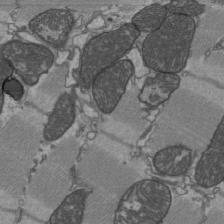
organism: C57BL Mouse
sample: Heart